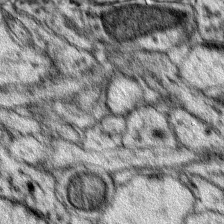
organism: Mouse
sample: Primary visual cortex